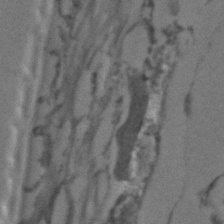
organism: C. elegans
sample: C. elegans embryo